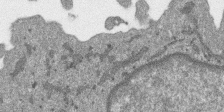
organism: Human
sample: Lung epithelial cells infected with SARS-CoV-2